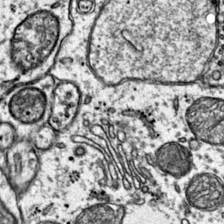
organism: Mouse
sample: Primary visual cortex